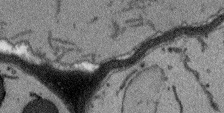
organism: Arabidopsis thaliana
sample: Root tip